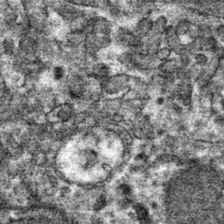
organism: Mouse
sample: Mouse hepatocytes